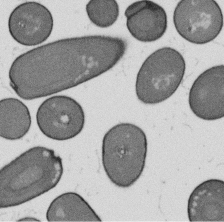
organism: B. subtilis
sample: Bacterial spore